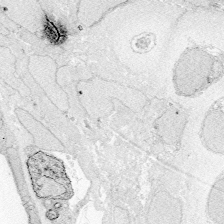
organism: Zebrafish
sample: Whole-Brain